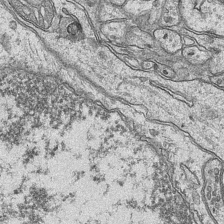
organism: Mouse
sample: CA1 Hippocampus